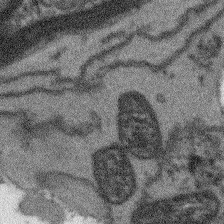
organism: Arabidopsis thaliana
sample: Root tip